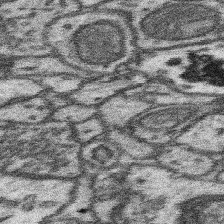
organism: Mouse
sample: Somatosensory cortex neuropil